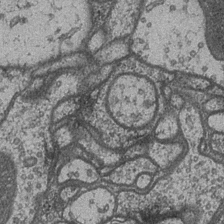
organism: Drosophila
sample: Optic medulla